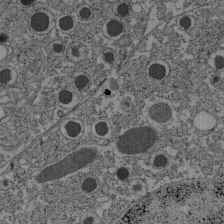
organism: C57BL Mouse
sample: Pancreatic islet